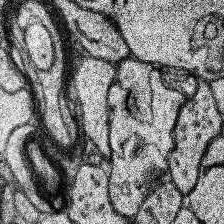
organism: Human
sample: Temporal Lobe